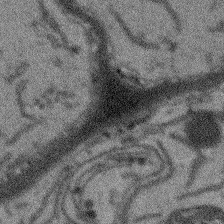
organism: Arabidopsis thaliana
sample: Root tip